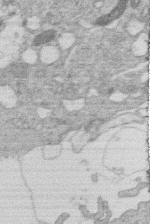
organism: Human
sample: Macrophage cells